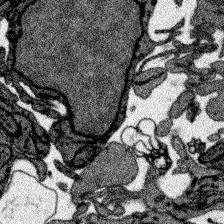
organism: Zebrafish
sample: Larval olfactory bulb